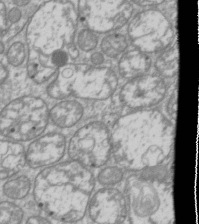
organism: Drosophila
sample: Cell division; meiosis; drosophila spermatocytes